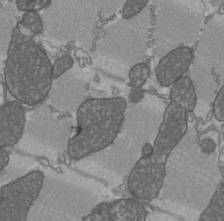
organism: C57BL Mouse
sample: Heart